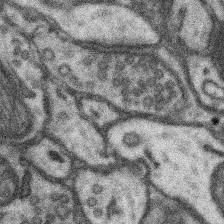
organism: Mouse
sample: Somatosensory cortex neuropil